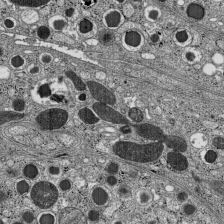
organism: C57BL Mouse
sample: Pancreatic islet